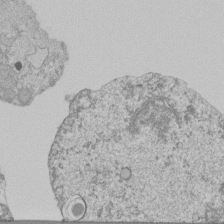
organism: Mouse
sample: Activated Pmel transgenic CD8+ T Cells